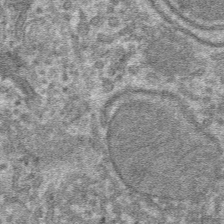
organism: Mouse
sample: Mouse hepatocytes